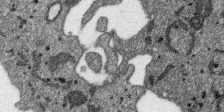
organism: Human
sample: Lung epithelial cells infected with SARS-CoV-2